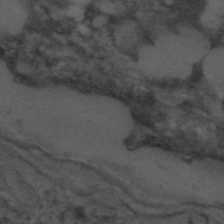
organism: C. elegans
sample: C. elegans embryo